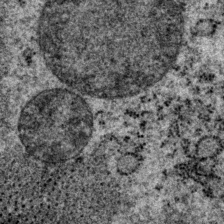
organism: P. pacificus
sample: Pharynx